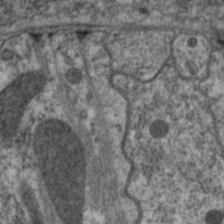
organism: C. elegans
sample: Pharynx